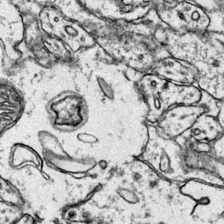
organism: Mouse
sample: Primary visual cortex